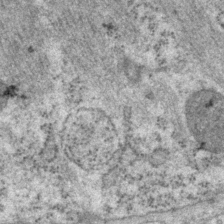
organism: P. pacificus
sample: Pharynx